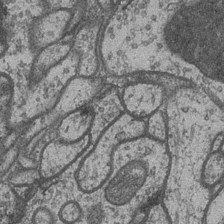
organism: Drosophila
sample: Optic medulla